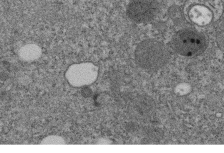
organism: C. elegans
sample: C. elegans embryo early stage